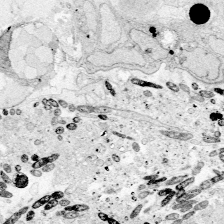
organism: Zebrafish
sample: Whole-Brain